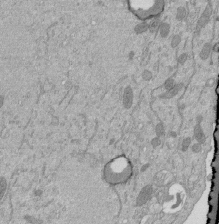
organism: Mouse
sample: ED-1 cell nuclei; centrioles